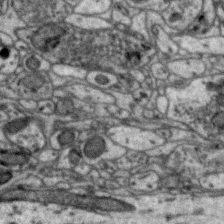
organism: Zebra finch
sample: Brain